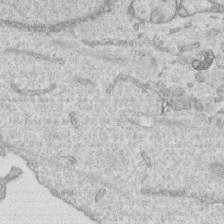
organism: Human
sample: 1205lu cells